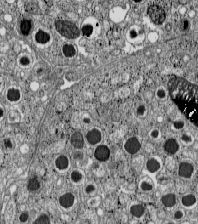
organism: C57BL Mouse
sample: Pancreatic islet